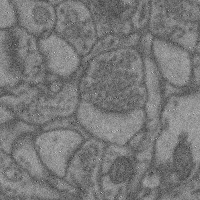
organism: Mouse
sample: Cerebral cortex